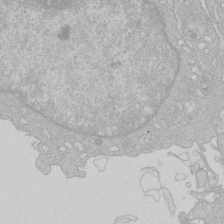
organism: Human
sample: Macrophage cells